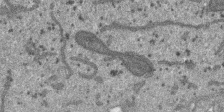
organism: Human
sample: Lung epithelial cells infected with SARS-CoV-2